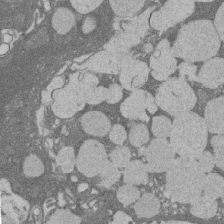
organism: Rat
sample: Salivary granule